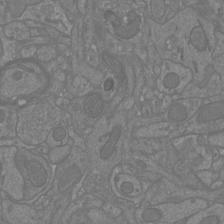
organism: Mouse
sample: Cortical neurons